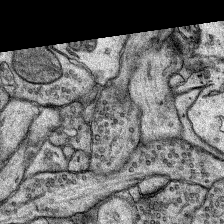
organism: Rat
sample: Hippocampus